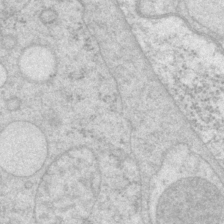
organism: P. pacificus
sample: Pharynx